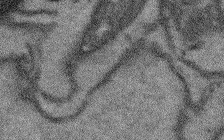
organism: Arabidopsis thaliana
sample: Root tip